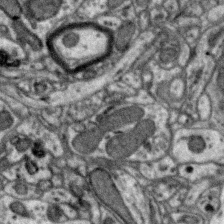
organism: Zebra finch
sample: Brain